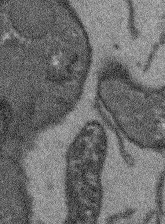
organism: Arabidopsis thaliana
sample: Root tip